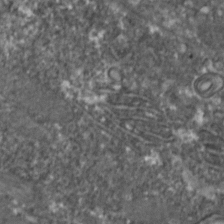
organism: Zebrafish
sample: Zebrafish embryo